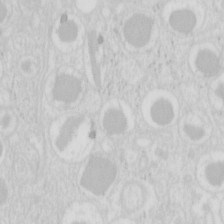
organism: Mouse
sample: Pancreas